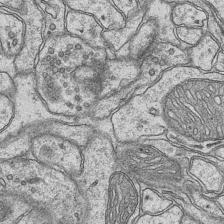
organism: Mouse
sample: CA1 Hippocampus